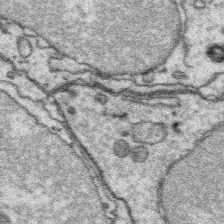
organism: Platynereis dumerilii